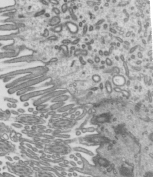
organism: Mouse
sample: Mouse epididymis efferent ductule cilia